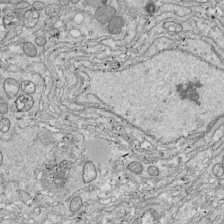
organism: Drosophila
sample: Cell division; meiosis; drosophila spermatocytes